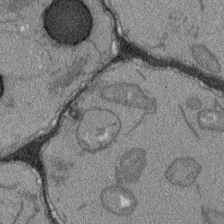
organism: Arabidopsis thaliana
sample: Root tip